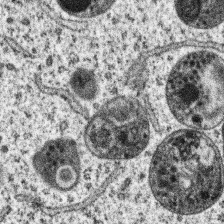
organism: Human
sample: HeLa cells